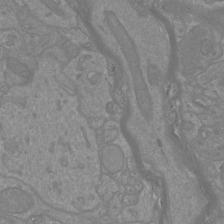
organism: Mouse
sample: Cortical neurons